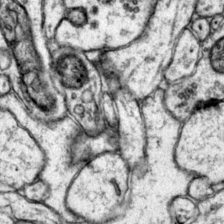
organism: Mouse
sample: Primary visual cortex